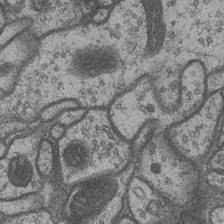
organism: Drosophila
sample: Optic medulla